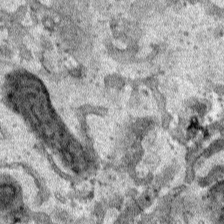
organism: Human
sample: Mitochondria in HCT116 cells